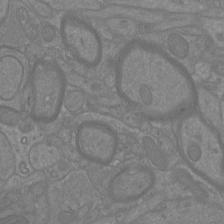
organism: Mouse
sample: Cortical neurons